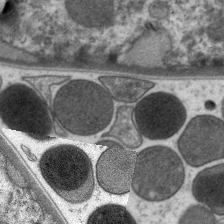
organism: C. elegans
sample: Pharynx